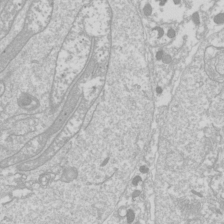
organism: Drosophila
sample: Cell division; meiosis; drosophila spermatocytes